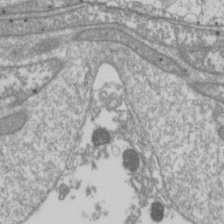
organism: Drosophila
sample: Cell division; meiosis; drosophila spermatocytes